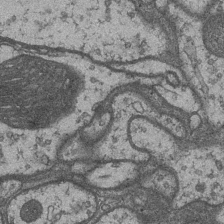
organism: Drosophila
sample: Optic medulla